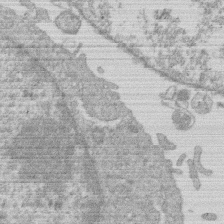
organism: Human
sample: Macrophage cells